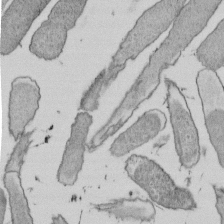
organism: E. coli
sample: Bacterial nucleoid